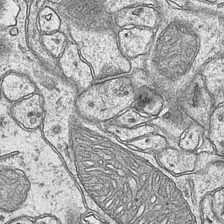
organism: Mouse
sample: CA1 Hippocampus